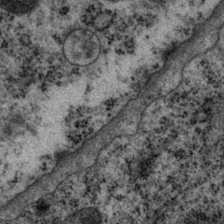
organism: P. pacificus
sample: Pharynx